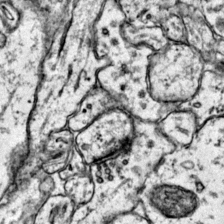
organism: Mouse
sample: Primary visual cortex